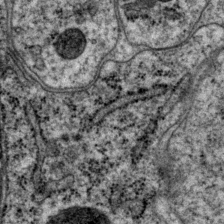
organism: P. pacificus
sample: Pharynx